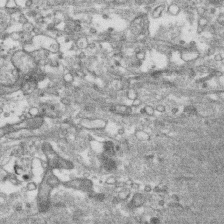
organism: Human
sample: CRL-1474